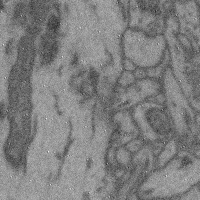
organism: Mouse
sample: Cerebral cortex